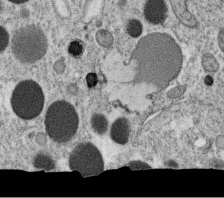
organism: C. elegans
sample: C. elegans oocyte; sperm cells